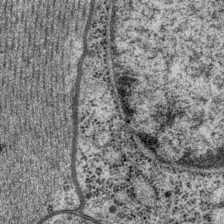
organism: P. pacificus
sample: Pharynx